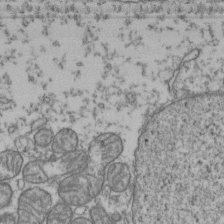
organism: Human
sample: Activated Jurkat CD4+ T cells